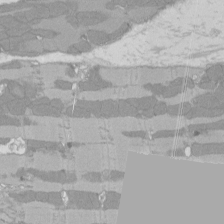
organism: Rat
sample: Left ventricle